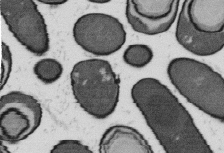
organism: B. subtilis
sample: Bacterial spore